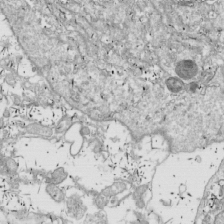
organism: Drosophila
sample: Cell division; meiosis; drosophila spermatocytes